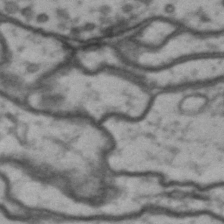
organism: Drosophila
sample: Brain